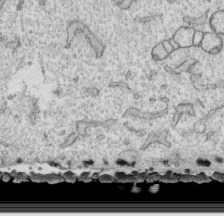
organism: Human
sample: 1205lu cells